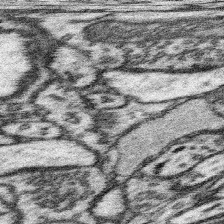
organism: Mouse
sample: Somatosensory cortex neuropil